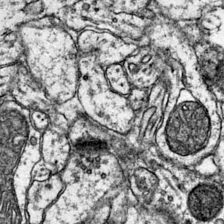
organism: Mouse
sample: Primary visual cortex